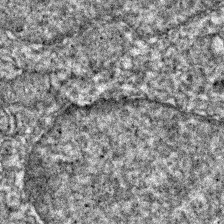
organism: Zebrafish